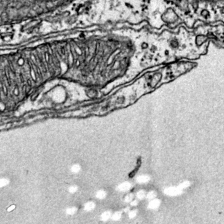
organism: Mouse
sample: Primary visual cortex